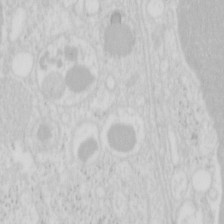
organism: Mouse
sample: Pancreas